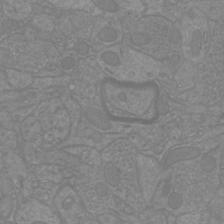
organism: Mouse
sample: Cortical neurons